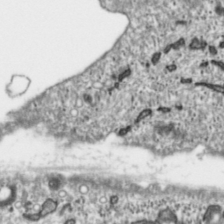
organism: Toxoplasma gondii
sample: Parasites in a vacuole inside a host cell